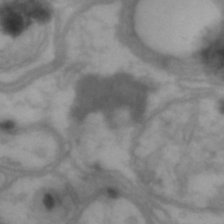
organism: Drosophila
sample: Brain